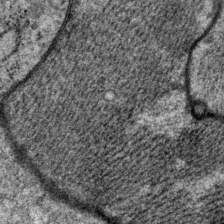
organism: P. pacificus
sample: Pharynx